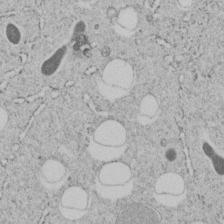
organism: C. elegans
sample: C. elegans embryo early stage